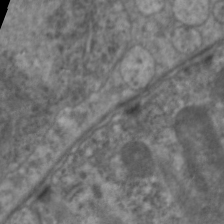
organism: C. elegans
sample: Pharynx